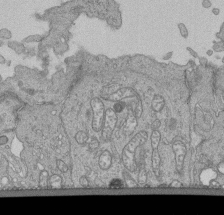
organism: Human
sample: Retinal organoid Rod and Cone cells